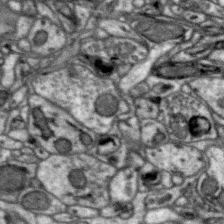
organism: Zebra finch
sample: Brain